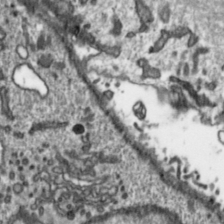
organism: Toxoplasma gondii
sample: Parasites in a vacuole inside a host cell